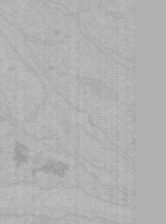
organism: Mouse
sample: Choroid plexus